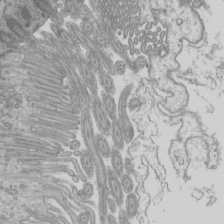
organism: Mouse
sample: Cilia; mouse epididymis